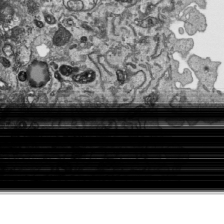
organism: Human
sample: Mitochondria in HCT116 cells